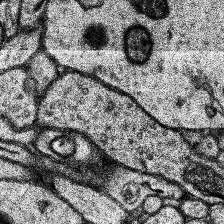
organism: Human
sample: Temporal Lobe